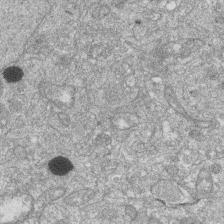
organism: Human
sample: HeLa cell HIV synapse